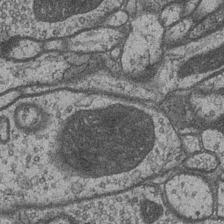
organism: Drosophila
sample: Optic medulla